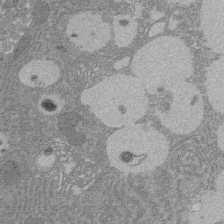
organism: Rat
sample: Salivary granule